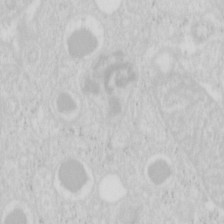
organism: Mouse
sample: Pancreas